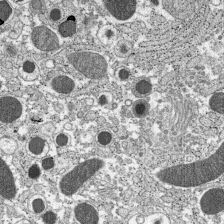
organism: C57BL Mouse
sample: Pancreatic islet